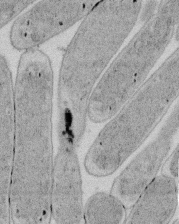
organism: E. coli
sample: Bacterial nucleoid